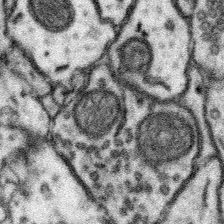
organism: Mouse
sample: Somatosensory cortex neuropil